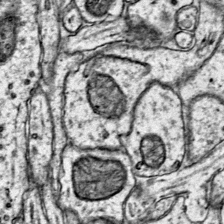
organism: Mouse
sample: Primary visual cortex